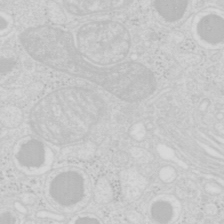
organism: Mouse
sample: Pancreas